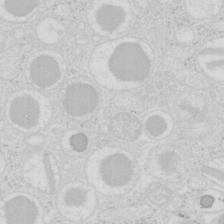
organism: Mouse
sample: Pancreas